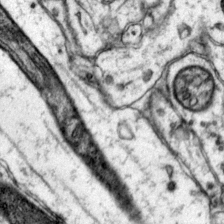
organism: Mouse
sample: Primary visual cortex